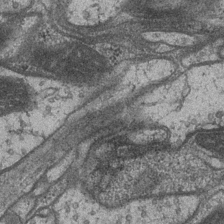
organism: Drosophila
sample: Optic medulla